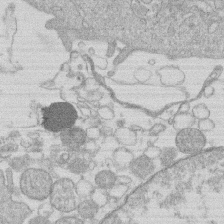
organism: Human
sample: Macrophage cells